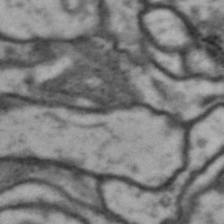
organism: Drosophila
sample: Brain